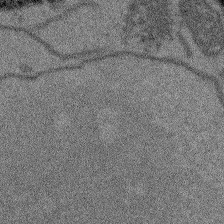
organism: Arabidopsis thaliana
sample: Root tip